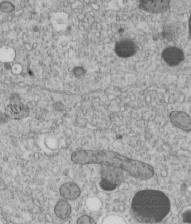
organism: C. elegans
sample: C. elegans embryo early stage